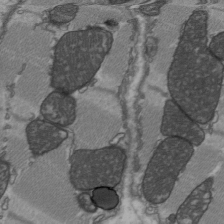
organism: C57BL Mouse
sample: Heart